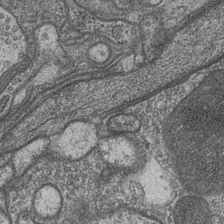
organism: Drosophila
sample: Optic medulla